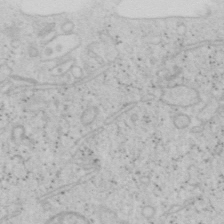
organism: Human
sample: HeLa cells